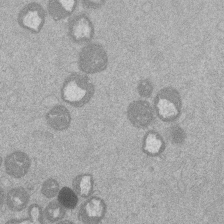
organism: Mouse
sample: Dividing mouse embryo 1 cell stage